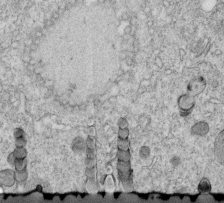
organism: C. elegans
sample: C. elegans embryo early stage